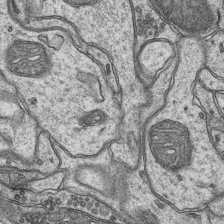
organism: Mouse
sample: CA1 Hippocampus